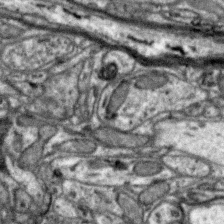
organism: Zebra finch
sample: Brain